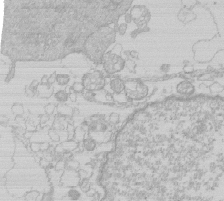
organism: Human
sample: Macrophage cells